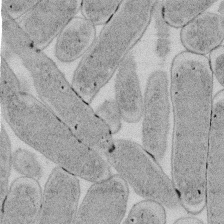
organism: E. coli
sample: Bacterial nucleoid